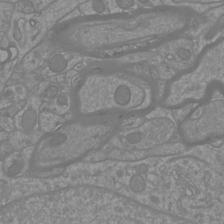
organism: Mouse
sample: Cortical neurons